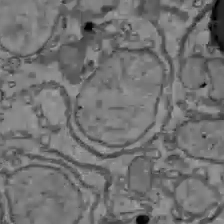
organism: C57BL Mouse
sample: Liver